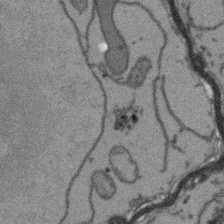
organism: Arabidopsis thaliana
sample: Root tip